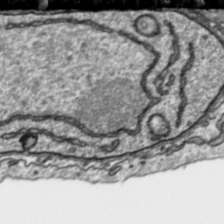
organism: Toxoplasma gondii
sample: Parasites in a vacuole inside a host cell